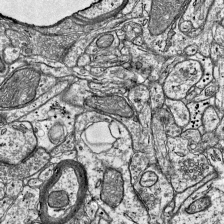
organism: Mouse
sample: Visual Cortex